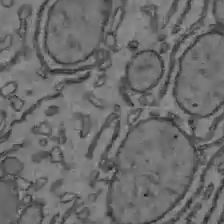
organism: C57BL Mouse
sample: Liver